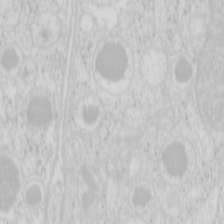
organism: Mouse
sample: Pancreas